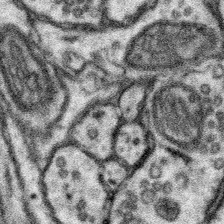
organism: Mouse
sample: Somatosensory cortex neuropil